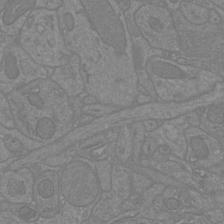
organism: Mouse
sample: Cortical neurons